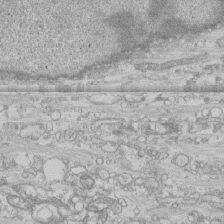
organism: Human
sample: CRL-1474